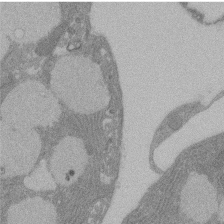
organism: Rat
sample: Salivary granule